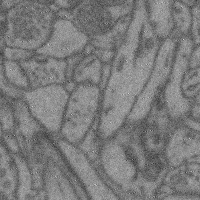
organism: Mouse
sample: Cerebral cortex